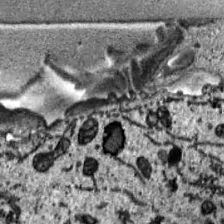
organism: Human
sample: HeLa cells